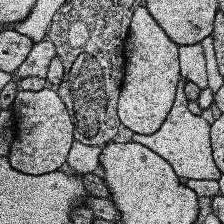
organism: Human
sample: Temporal Lobe